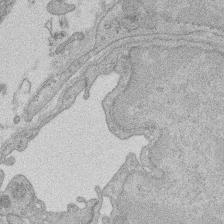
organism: Rat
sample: Salivary granule